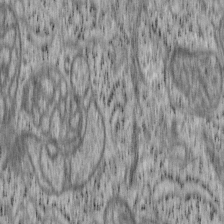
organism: Human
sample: HeLa cells